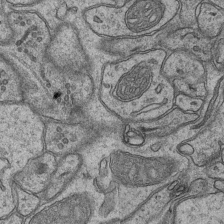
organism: Mouse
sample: CA1 Hippocampus